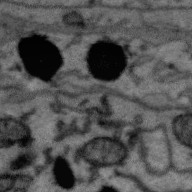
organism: Zebra finch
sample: Brain